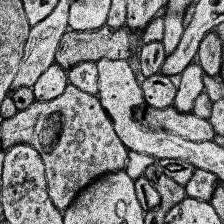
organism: Human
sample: Temporal Lobe